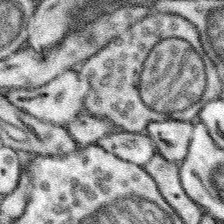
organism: Mouse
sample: Somatosensory cortex neuropil